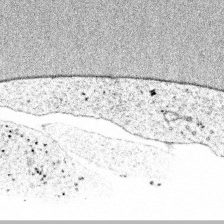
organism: Human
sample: HeLa cells